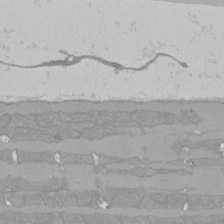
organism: Rat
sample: Left ventricle